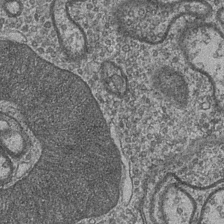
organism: Drosophila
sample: Optic medulla